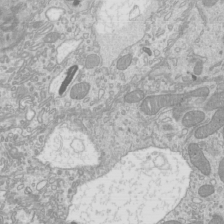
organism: Mouse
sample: Cilia; mouse epididymis